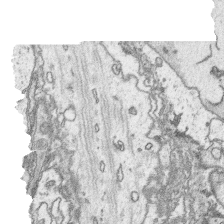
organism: Platynereis dumerilii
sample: Parapodia